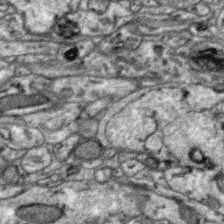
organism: Zebra finch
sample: Brain